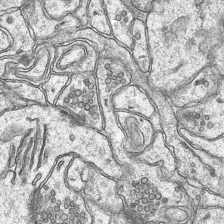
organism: Mouse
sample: CA1 Hippocampus